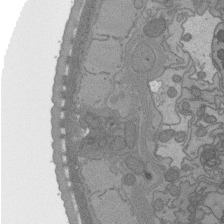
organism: C. elegans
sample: AFD neurons C. elegans